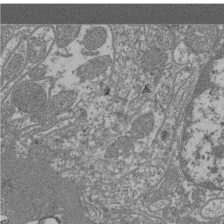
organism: Mouse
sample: Glomerulus